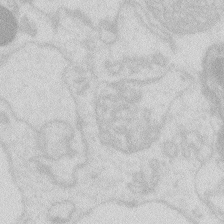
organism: Zebrafish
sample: Macrophage